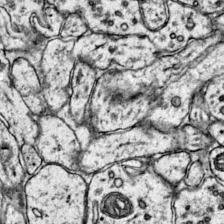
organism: Mouse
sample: Primary visual cortex